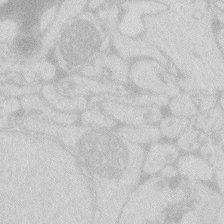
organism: Zebrafish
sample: Macrophage